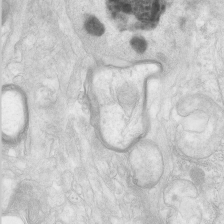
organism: Human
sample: Neocortex